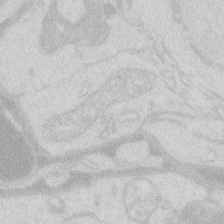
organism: Zebrafish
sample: Macrophage